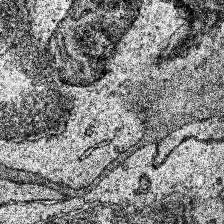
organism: Human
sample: Temporal Lobe